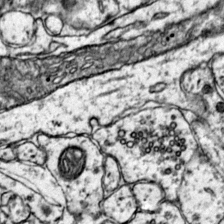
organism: Mouse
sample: Primary visual cortex